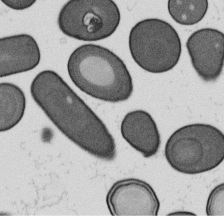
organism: B. subtilis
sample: Bacterial spore